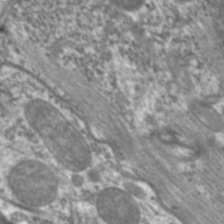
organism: C. elegans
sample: Pharynx